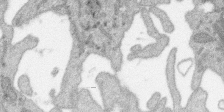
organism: Human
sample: Lung epithelial cells infected with SARS-CoV-2